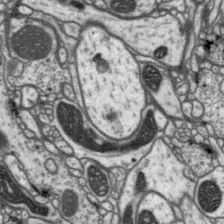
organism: Drosophila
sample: Protocerebral bridge